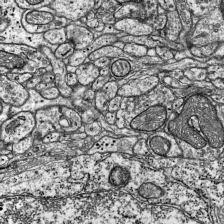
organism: Mouse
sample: Visual Cortex